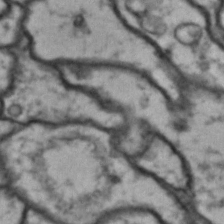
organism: Drosophila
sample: Brain